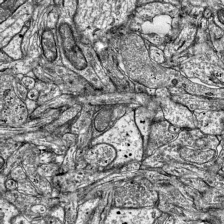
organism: Mouse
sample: Visual Cortex